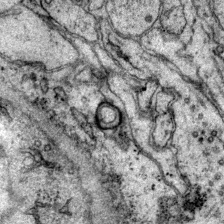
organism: Mouse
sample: Primary visual cortex